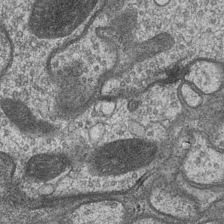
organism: Drosophila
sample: Optic medulla